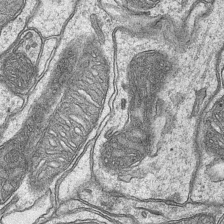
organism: Mouse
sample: CA1 Hippocampus